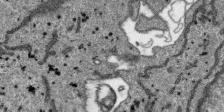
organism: Human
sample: Lung epithelial cells, uninfected (mock) control